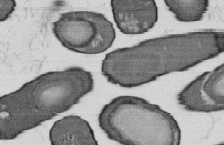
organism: B. subtilis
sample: Bacterial spore